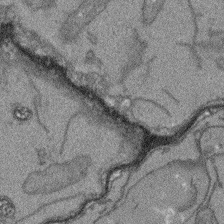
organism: Arabidopsis thaliana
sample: Root tip